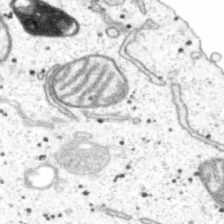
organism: Human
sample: HeLa cells